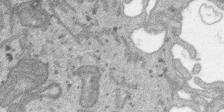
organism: Human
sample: Lung epithelial cells infected with SARS-CoV-2